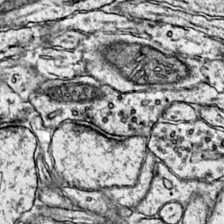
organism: Mouse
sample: Primary visual cortex